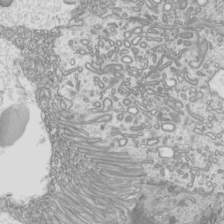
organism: Mouse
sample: Cilia; mouse epididymis